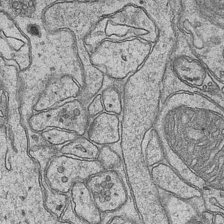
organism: Mouse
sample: CA1 Hippocampus